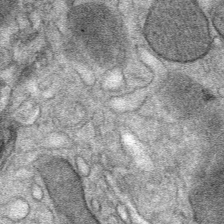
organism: Mouse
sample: Mouse Salivary gland